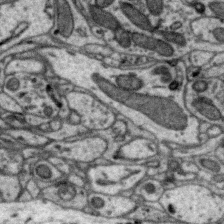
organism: Zebra finch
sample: Brain